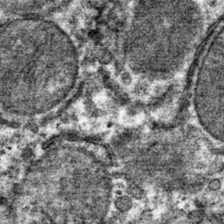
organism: Mouse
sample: Mouse hepatocytes